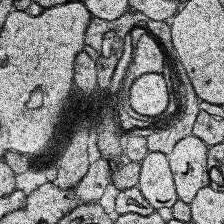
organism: Human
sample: Temporal Lobe